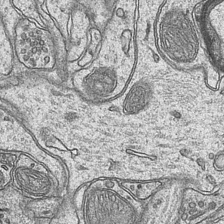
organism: Mouse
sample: CA1 Hippocampus